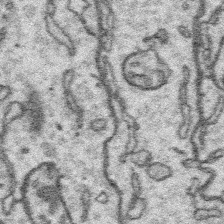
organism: Platynereis dumerilii